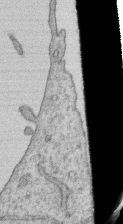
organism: Human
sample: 1205lu cells